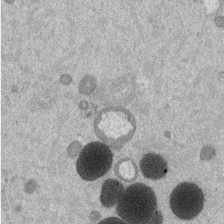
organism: Mouse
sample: Dividing mouse embryo 1 cell stage